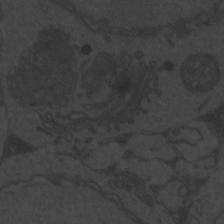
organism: Zebrafish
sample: Macrophage infected with Toxoplasma gondii